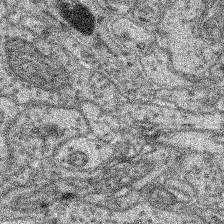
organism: Mouse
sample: Retina